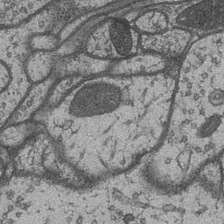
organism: Drosophila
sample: Optic medulla